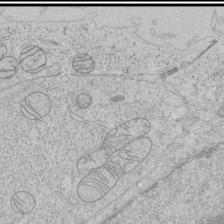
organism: Human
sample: Mitochondria in HCT116 cells